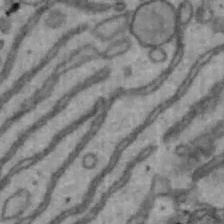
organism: Mouse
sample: Liver